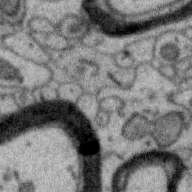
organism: Zebra finch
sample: Brain